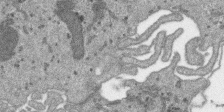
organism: Human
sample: Lung epithelial cells infected with SARS-CoV-2